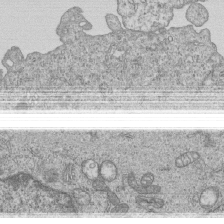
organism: Human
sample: MDA-MB-231 cells